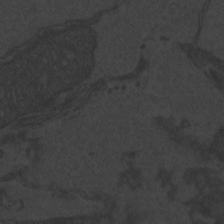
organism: Zebrafish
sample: Macrophage infected with Toxoplasma gondii